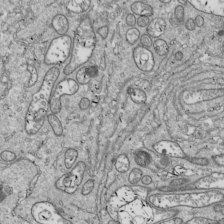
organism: Drosophila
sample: Cell division; meiosis; drosophila spermatocytes